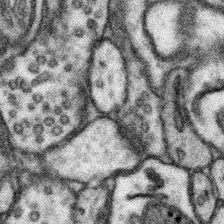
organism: Mouse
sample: Somatosensory cortex neuropil